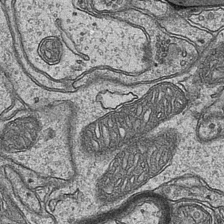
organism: Mouse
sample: CA1 Hippocampus